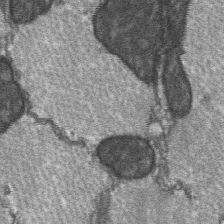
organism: C57BL Mouse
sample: Soleus